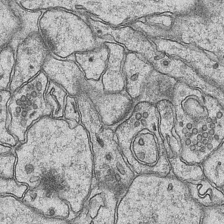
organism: Mouse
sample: CA1 Hippocampus